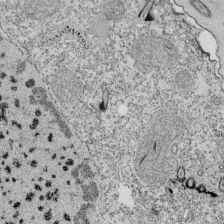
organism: Tetrahymena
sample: Cilia in tetrahymena